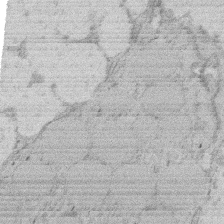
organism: Rat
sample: Salivary granule